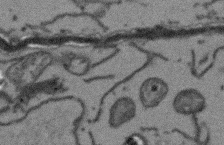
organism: Arabidopsis thaliana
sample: Root tip